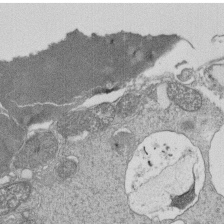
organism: Tetrahymena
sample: Cilia in tetrahymena